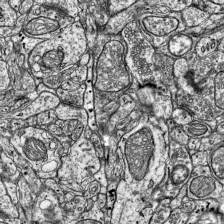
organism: Mouse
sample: Visual Cortex